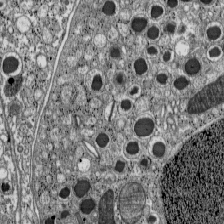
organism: C57BL Mouse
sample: Pancreatic islet